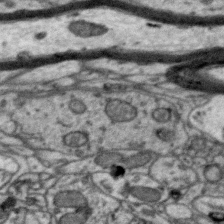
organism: Zebra finch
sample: Brain